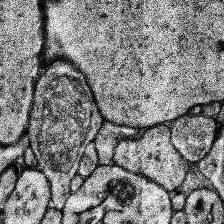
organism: Human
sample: Temporal Lobe